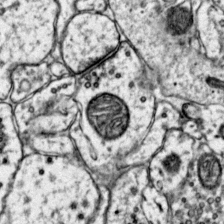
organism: Mouse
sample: Primary visual cortex